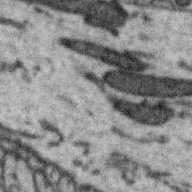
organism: Zebra finch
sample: Brain